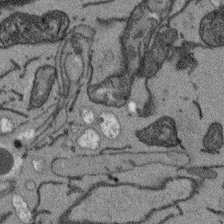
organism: Arabidopsis thaliana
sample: Root tip